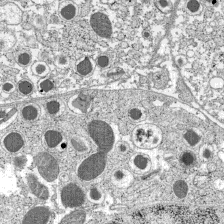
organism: C57BL Mouse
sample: Pancreatic islet